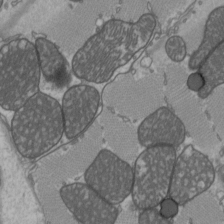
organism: C57BL Mouse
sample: Heart